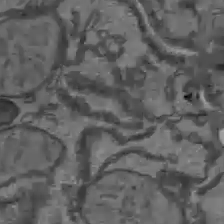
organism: C57BL Mouse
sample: Liver